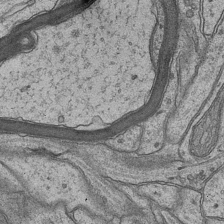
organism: Mouse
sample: CA1 Hippocampus